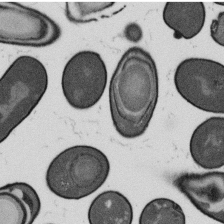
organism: B. subtilis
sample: Bacterial spore